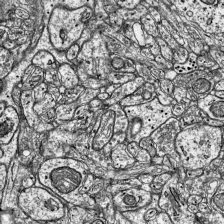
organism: Mouse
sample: Visual Cortex